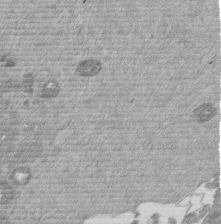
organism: Mouse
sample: Dividing mouse embryo 1 cell stage